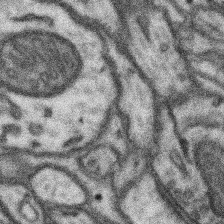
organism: Mouse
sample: Somatosensory cortex neuropil